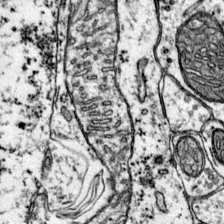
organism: Mouse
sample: Primary visual cortex